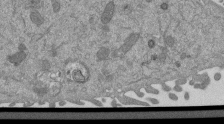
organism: Mouse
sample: ED-1 cell nuclei; centrioles